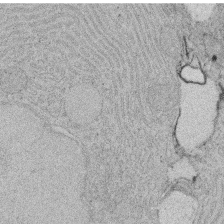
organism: Rat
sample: Salivary granule